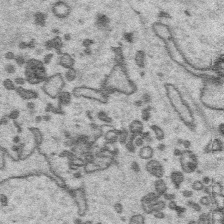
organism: Platynereis dumerilii